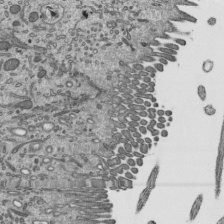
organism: Mouse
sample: Mouse epididymis efferent ductule cilia